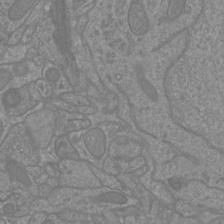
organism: Mouse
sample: Cortical neurons